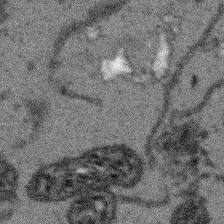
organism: Arabidopsis thaliana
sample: Root tip